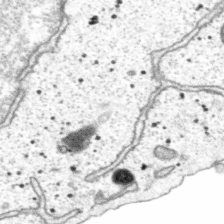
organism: Human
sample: HeLa cells